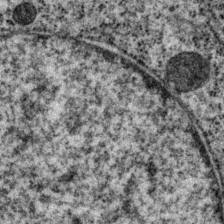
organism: P. pacificus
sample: Pharynx